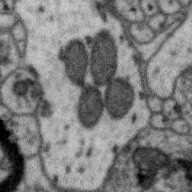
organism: Zebra finch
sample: Brain